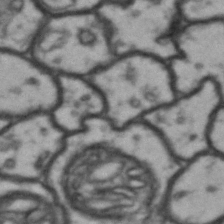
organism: Drosophila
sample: Brain